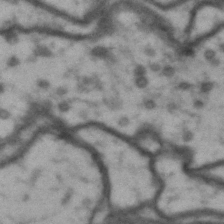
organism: Drosophila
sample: Brain